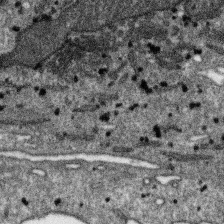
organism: Human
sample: Lung epithelial cells infected with SARS-CoV-2